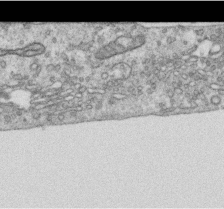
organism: Human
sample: Centriole in RPE cells